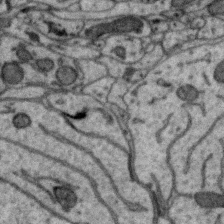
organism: Zebra finch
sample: Brain